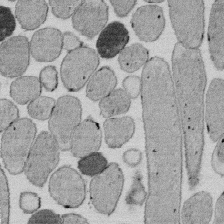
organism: E. coli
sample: Bacterial nucleoid